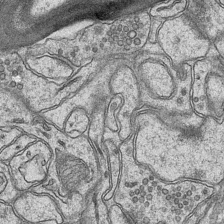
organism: Mouse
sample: CA1 Hippocampus